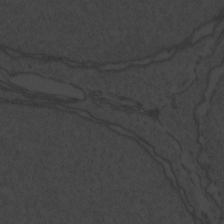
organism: Zebrafish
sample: Macrophage infected with Toxoplasma gondii